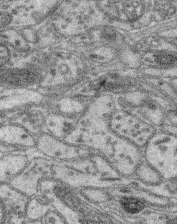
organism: Mouse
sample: Retina